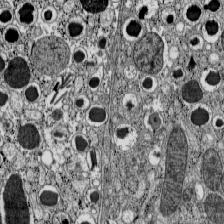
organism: C57BL Mouse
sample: Pancreatic islet